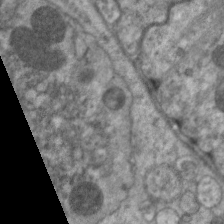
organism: C. elegans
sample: Pharynx